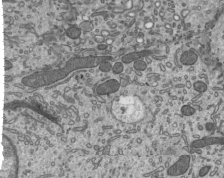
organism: Mouse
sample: Mouse epididymis efferent ductule cilia